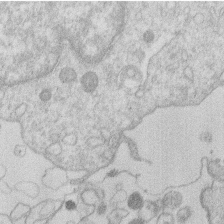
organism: Human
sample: Macrophage cells